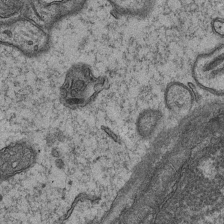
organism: Mouse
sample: CA1 Hippocampus